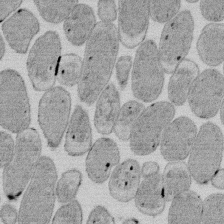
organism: E. coli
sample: Bacterial nucleoid